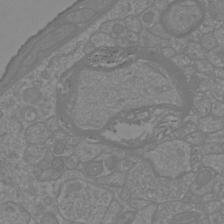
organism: Mouse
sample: Cortical neurons